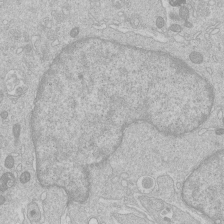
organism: Human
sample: Macrophage cells